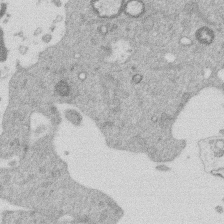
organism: Mouse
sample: Dividing mouse embryo 1 cell stage